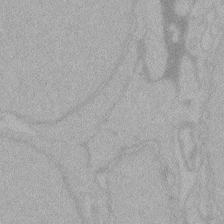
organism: Zebrafish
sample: Macrophage infected with Toxoplasma gondii